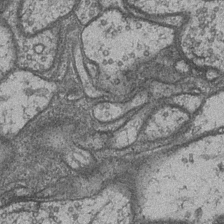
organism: Drosophila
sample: Optic medulla